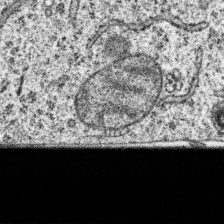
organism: Human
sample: HeLa cells